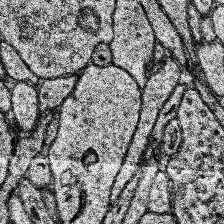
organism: Human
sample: Temporal Lobe